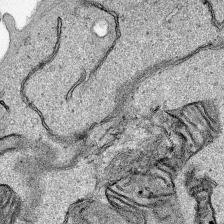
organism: Human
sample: Mitochondria in HCT116 cells